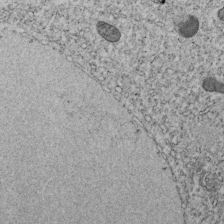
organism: C. elegans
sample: C. elegans embryo early stage